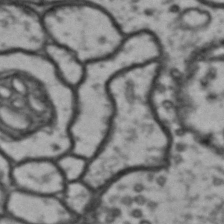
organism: Drosophila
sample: Brain